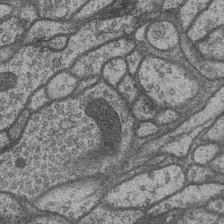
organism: Drosophila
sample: Optic medulla